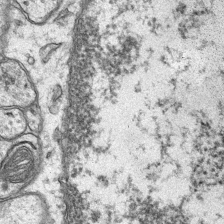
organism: Mouse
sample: CA1 Hippocampus